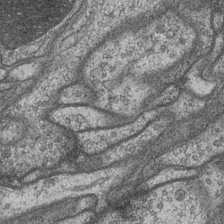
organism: Drosophila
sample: Optic medulla